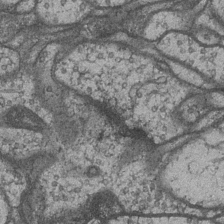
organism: Drosophila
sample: Optic medulla